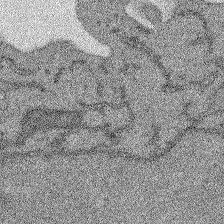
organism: Human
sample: HeLa cells